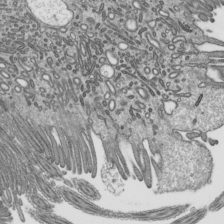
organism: Mouse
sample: Mouse epididymis efferent ductule cilia